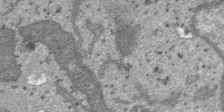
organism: Human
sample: Lung epithelial cells infected with SARS-CoV-2